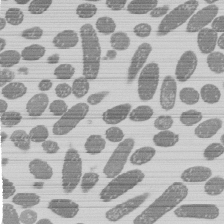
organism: E. coli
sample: Bacterial nucleoid